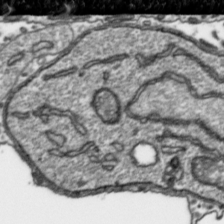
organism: Toxoplasma gondii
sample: Parasites in a vacuole inside a host cell